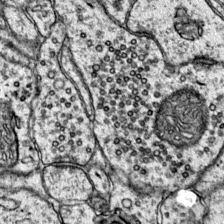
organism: Mouse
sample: Primary visual cortex